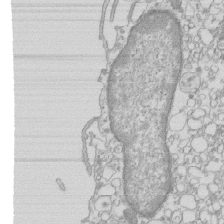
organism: Mouse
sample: Macrophages